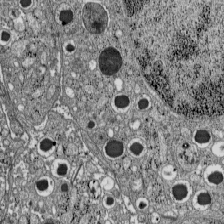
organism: C57BL Mouse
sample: Pancreatic islet